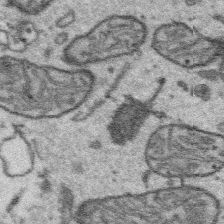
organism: Platynereis dumerilii